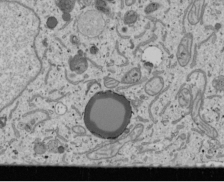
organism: Human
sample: Mitochondria in U2OS cells